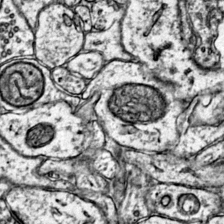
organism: Mouse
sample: Primary visual cortex